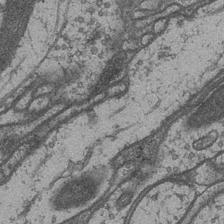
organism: Drosophila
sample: Optic medulla